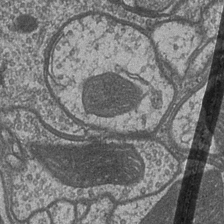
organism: Drosophila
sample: Optic medulla